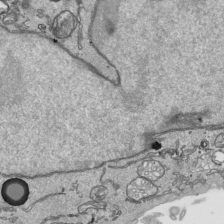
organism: Human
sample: Mitochondria in HCT116 cells